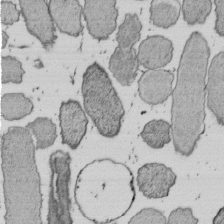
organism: E. coli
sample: Bacterial nucleoid